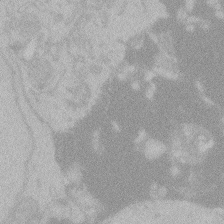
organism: Zebrafish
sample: Macrophage infected with Toxoplasma gondii